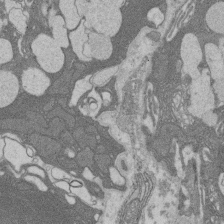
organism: Rat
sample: Salivary granule